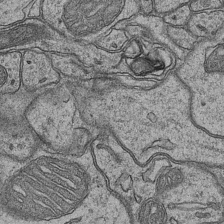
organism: Mouse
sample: CA1 Hippocampus